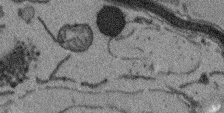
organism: Arabidopsis thaliana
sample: Root tip